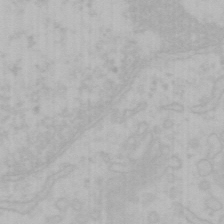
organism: Mouse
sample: Choroid plexus